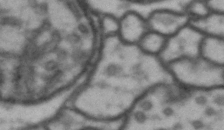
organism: Drosophila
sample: Brain